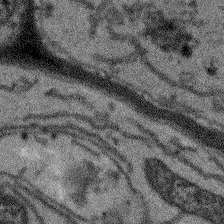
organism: Arabidopsis thaliana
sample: Root tip